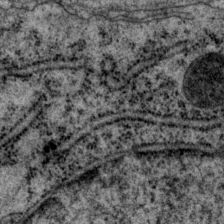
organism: P. pacificus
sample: Pharynx